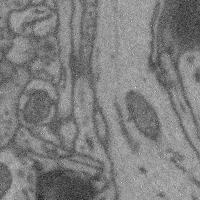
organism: Mouse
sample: Cerebral cortex